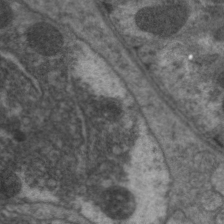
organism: C. elegans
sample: Pharynx